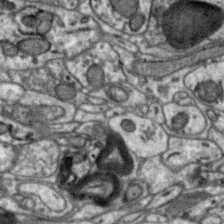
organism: Zebra finch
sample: Brain